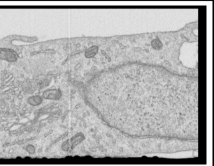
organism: Human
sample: Centriole in RPE cells